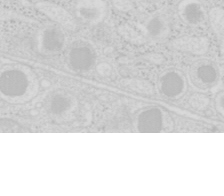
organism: Mouse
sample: Pancreas